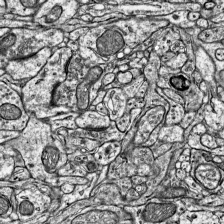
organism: Mouse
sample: Visual Cortex